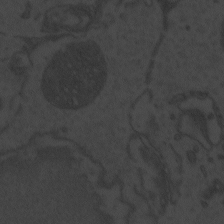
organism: Zebrafish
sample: Macrophage infected with Toxoplasma gondii